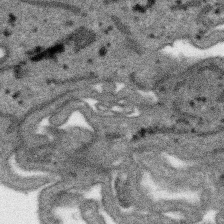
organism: Human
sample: Lung epithelial cells infected with SARS-CoV-2